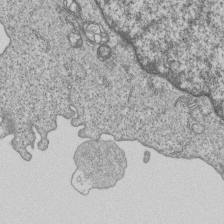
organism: Human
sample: MDA-MB-231 cells